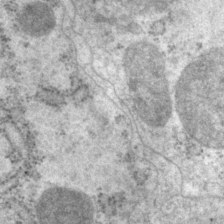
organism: P. pacificus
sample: Pharynx